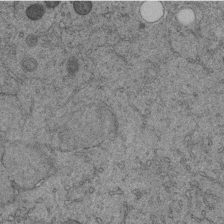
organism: C. elegans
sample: C. elegans embryo early stage